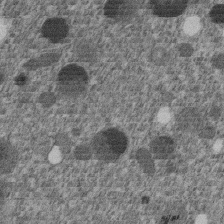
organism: C. elegans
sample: C. elegans embryo early stage